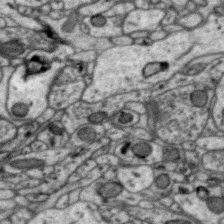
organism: Zebra finch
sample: Brain